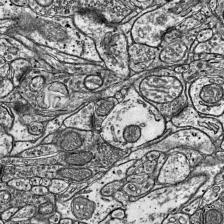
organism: Mouse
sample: Visual Cortex